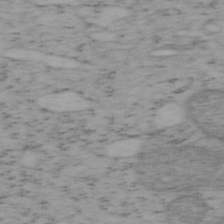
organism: Mouse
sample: OT-I killer T cells with ID8 ovarian cancer cells